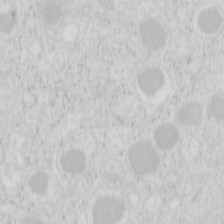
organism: Mouse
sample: Pancreas